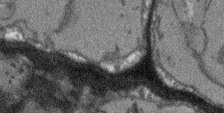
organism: Arabidopsis thaliana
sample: Root tip